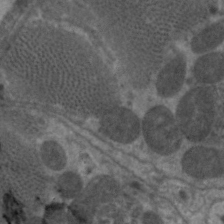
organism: C. elegans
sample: Pharynx